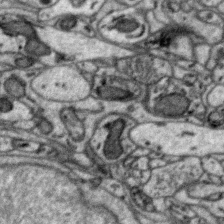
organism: Zebra finch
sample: Brain